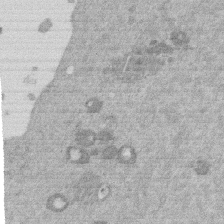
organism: Mouse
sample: Dividing mouse embryo 1 cell stage